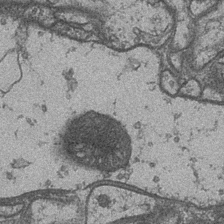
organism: Drosophila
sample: Optic medulla